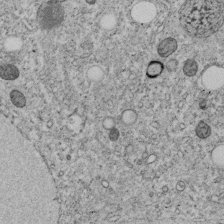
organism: C. elegans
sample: C. elegans embryo early stage